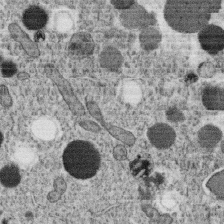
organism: C. elegans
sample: C. elegans oocyte; sperm cells